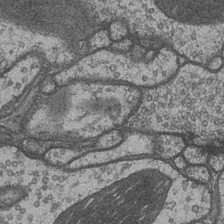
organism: Drosophila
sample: Optic medulla